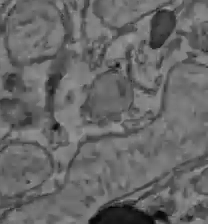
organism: C57BL Mouse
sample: Liver